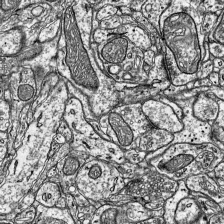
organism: Mouse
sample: Visual Cortex